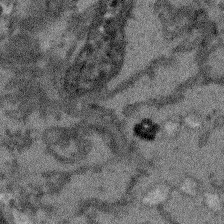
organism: Arabidopsis thaliana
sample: Root tip